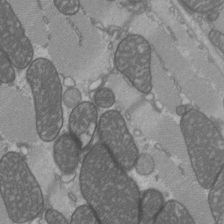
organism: C57BL Mouse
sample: Heart